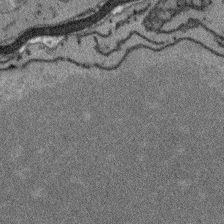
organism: Arabidopsis thaliana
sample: Root tip